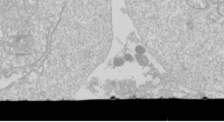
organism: Drosophila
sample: Cell division; meiosis; drosophila spermatocytes